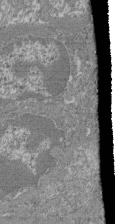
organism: Mouse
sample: Glomerulus